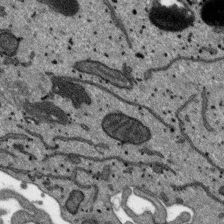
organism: Human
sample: Lung epithelial cells, uninfected (mock) control